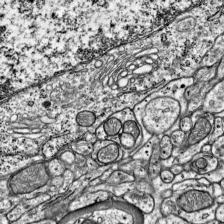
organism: Mouse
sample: Visual Cortex